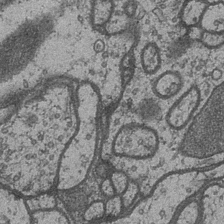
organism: Drosophila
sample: Optic medulla